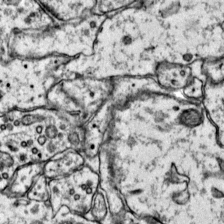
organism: Mouse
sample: Primary visual cortex